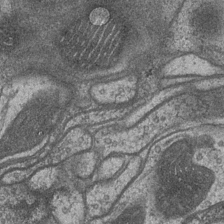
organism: Drosophila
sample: Optic medulla